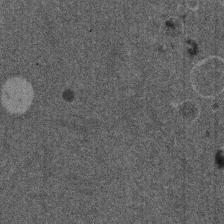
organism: Mouse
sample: Dividing mouse embryo 1 cell stage